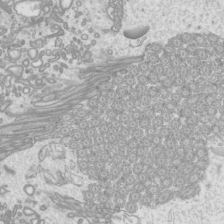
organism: Mouse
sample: Cilia; mouse epididymis